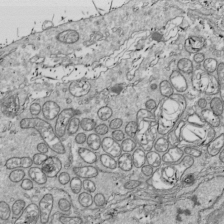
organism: Drosophila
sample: Cell division; meiosis; drosophila spermatocytes